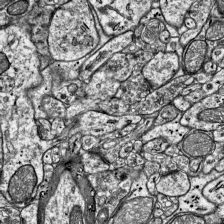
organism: Mouse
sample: Visual Cortex